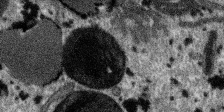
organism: Human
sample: Lung epithelial cells infected with SARS-CoV-2